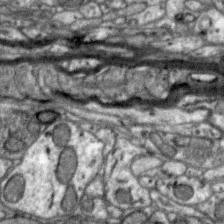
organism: Zebra finch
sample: Brain